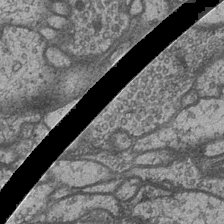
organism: Drosophila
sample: Optic medulla